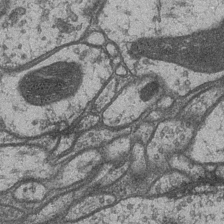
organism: Drosophila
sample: Optic medulla